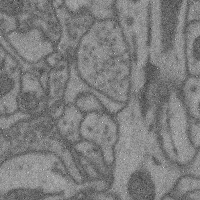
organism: Mouse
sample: Cerebral cortex